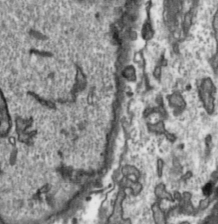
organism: Toxoplasma gondii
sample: Parasites in a vacuole inside a host cell